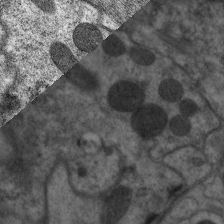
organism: C. elegans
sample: Pharynx